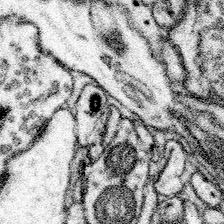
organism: Mouse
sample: Somatosensory cortex neuropil